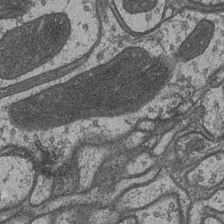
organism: Drosophila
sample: Optic medulla